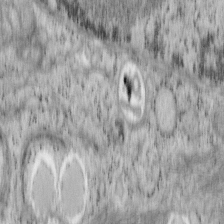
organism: Human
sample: HeLa cells